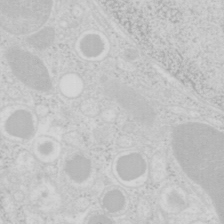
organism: Mouse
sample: Pancreas